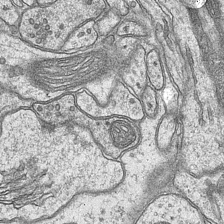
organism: Mouse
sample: CA1 Hippocampus